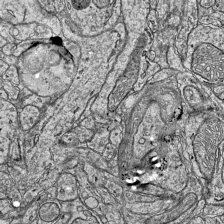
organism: Mouse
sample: Visual Cortex